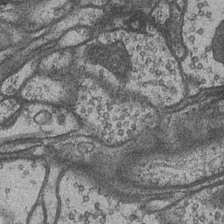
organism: Drosophila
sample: Optic medulla